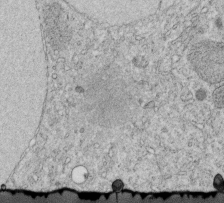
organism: C. elegans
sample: C. elegans embryo early stage